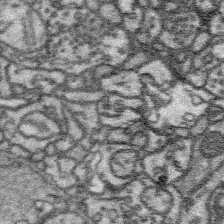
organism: Platynereis dumerilii